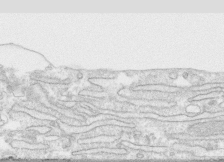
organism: Human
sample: CRL-1474